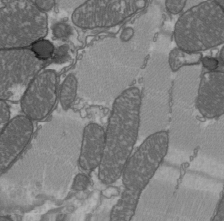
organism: C57BL Mouse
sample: Heart